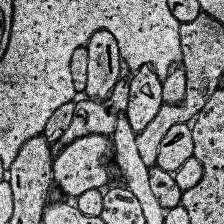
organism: Human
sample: Temporal Lobe